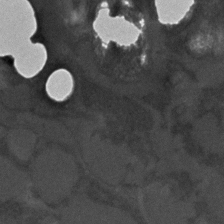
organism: C. elegans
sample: C. elegans embryo